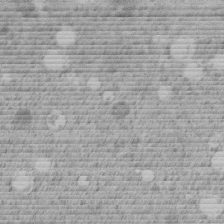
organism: C. elegans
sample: C. elegans embryo early stage